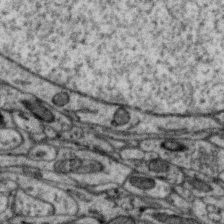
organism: Zebra finch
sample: Brain